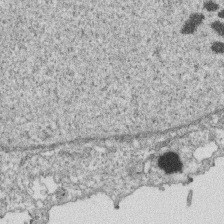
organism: Human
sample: HeLa cell HIV synapse